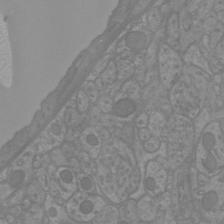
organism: Mouse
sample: Cortical neurons